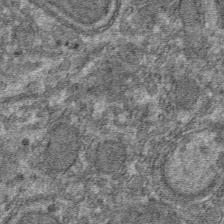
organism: Mouse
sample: Mouse hepatocytes